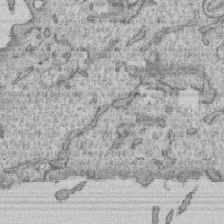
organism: Human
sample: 1205lu cells